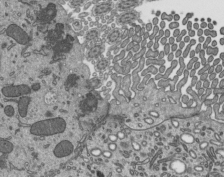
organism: Mouse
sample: Mouse epididymis efferent ductule cilia